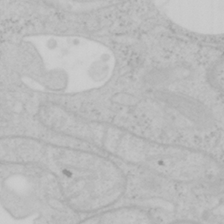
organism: Mouse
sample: OT-I killer T cells with ID8 ovarian cancer cells